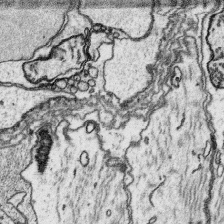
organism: Platynereis dumerilii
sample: Parapodia